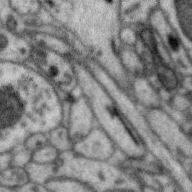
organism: Zebra finch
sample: Brain